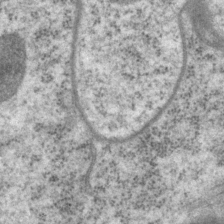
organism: P. pacificus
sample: Pharynx